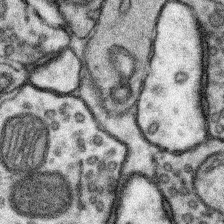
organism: Mouse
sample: Somatosensory cortex neuropil